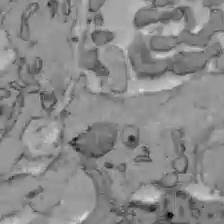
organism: C57BL Mouse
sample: Liver